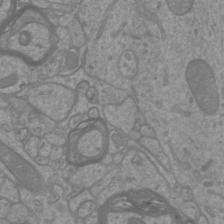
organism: Mouse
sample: Cortical neurons